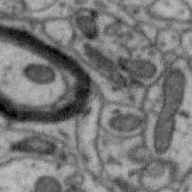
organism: Zebra finch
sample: Brain